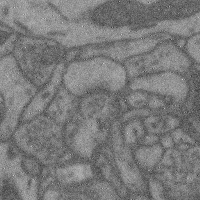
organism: Mouse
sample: Cerebral cortex